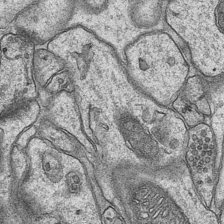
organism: Mouse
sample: CA1 Hippocampus